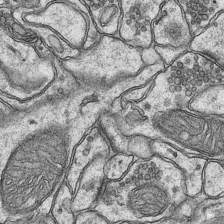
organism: Mouse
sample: CA1 Hippocampus